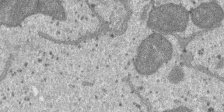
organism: Human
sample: Lung epithelial cells infected with SARS-CoV-2